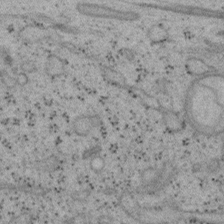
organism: Human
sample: HeLa cells